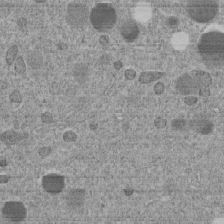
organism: C. elegans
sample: C. elegans embryo early stage